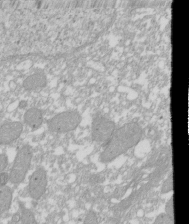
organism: Xenopus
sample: Cilia; centrioles in frog embryo cells